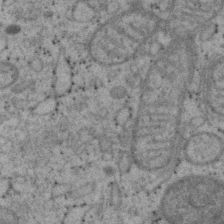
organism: Human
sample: HeLa cells